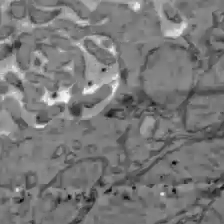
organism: C57BL Mouse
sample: Liver